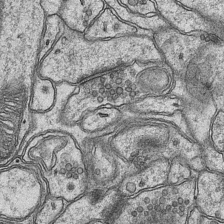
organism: Mouse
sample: CA1 Hippocampus